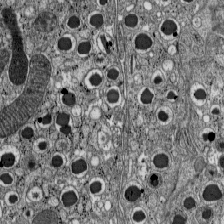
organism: C57BL Mouse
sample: Pancreatic islet